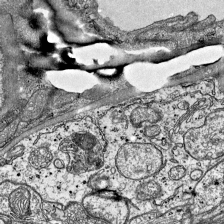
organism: Mouse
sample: Visual Cortex